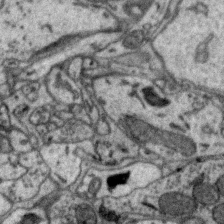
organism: Zebra finch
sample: Brain